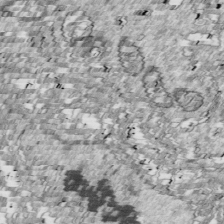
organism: Drosophila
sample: Cell division; meiosis; drosophila spermatocytes